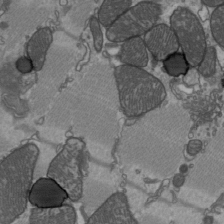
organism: C57BL Mouse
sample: Heart